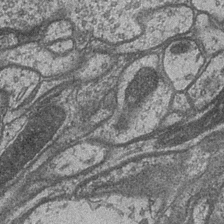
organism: Drosophila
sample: Optic medulla